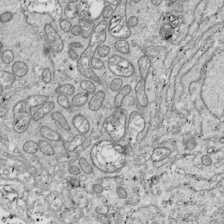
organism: Drosophila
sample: Cell division; meiosis; drosophila spermatocytes